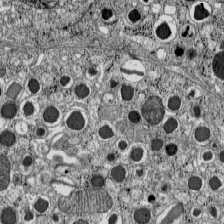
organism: C57BL Mouse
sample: Pancreatic islet